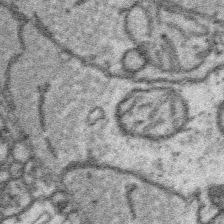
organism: Platynereis dumerilii